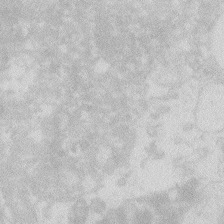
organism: Zebrafish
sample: Macrophage